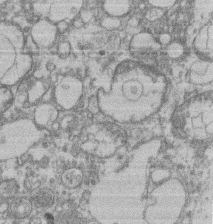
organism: Mouse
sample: T cell stromal cell synapse